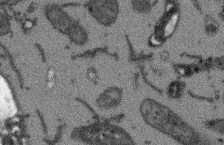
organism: Arabidopsis thaliana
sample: Root tip